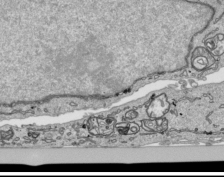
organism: Human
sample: Mitochondria in HCT116 cells